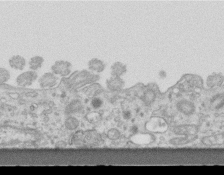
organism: Mouse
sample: Centriole in ependymal cells